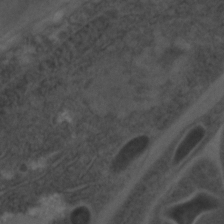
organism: C. elegans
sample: C. elegans embryo